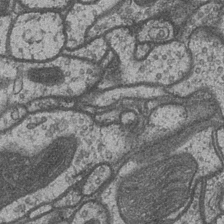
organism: Drosophila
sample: Optic medulla